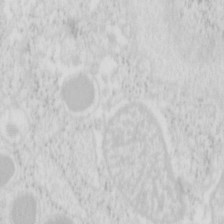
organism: Mouse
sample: Pancreas